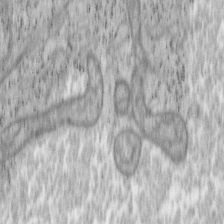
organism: Human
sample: HeLa cells